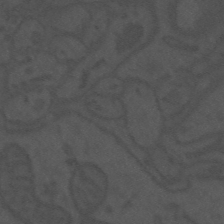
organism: Mouse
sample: Suprachiasmatic nucleus